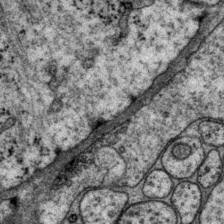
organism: P. pacificus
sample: Pharynx